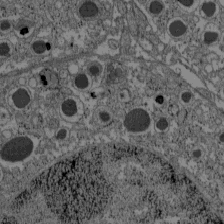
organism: C57BL Mouse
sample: Pancreatic islet